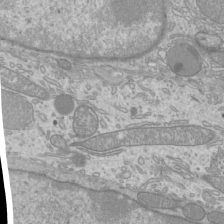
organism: Mouse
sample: Cilia; mouse epididymis